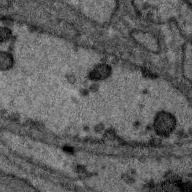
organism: Zebra finch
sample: Brain